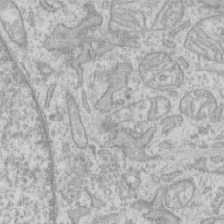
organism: Human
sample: CRL-1474